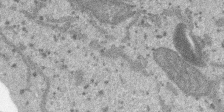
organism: Human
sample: Lung epithelial cells infected with SARS-CoV-2